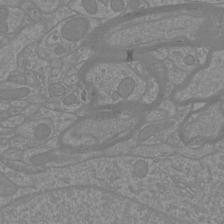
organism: Mouse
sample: Cortical neurons